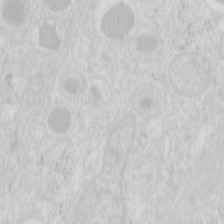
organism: Mouse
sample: Pancreas